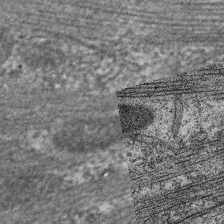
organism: C. elegans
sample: Pharynx